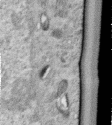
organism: Human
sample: Centriole in RPE cells